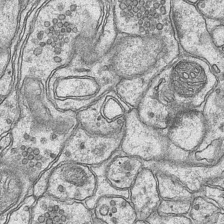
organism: Mouse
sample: CA1 Hippocampus